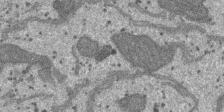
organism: Human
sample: Lung epithelial cells infected with SARS-CoV-2